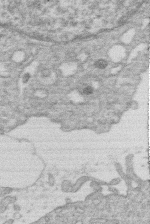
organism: Human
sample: Macrophage cells